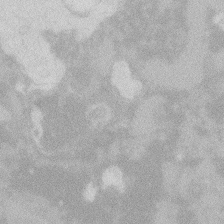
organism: Zebrafish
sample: Macrophage